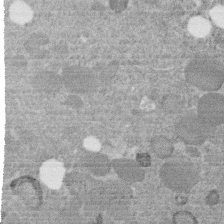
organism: C. elegans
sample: C. elegans embryo early stage